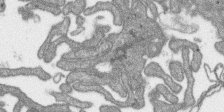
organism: Human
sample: Lung epithelial cells infected with SARS-CoV-2